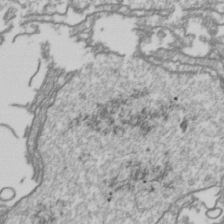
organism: Drosophila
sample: Cell division; meiosis; drosophila spermatocytes